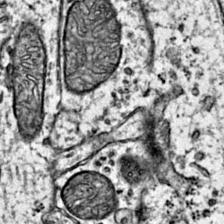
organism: Mouse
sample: Primary visual cortex